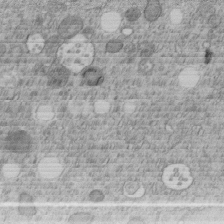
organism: C. elegans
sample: C. elegans embryo early stage